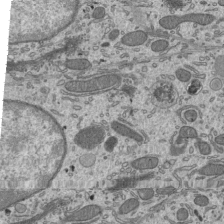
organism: Mouse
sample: Mouse epididymis efferent ductule cilia